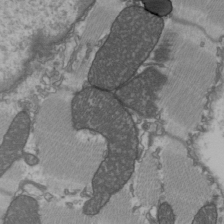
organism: C57BL Mouse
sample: Heart